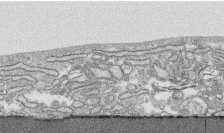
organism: Human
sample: CRL-1474